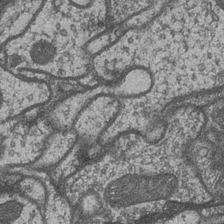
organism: Drosophila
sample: Optic medulla